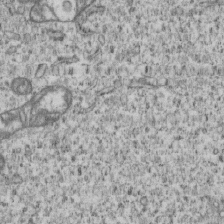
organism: Human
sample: MDA-MB-231 cells